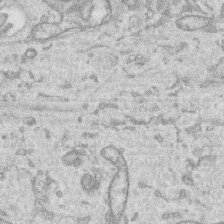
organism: Human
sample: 1205lu cells